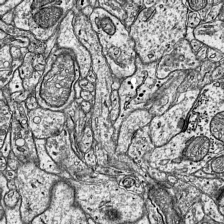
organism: Mouse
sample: Visual Cortex